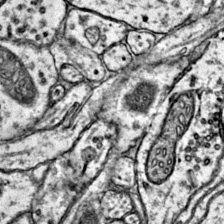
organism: Mouse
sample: Primary visual cortex